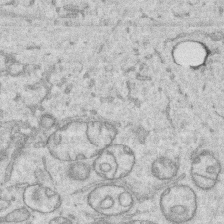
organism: Human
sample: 1205lu cells